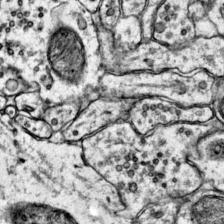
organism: Mouse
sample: Primary visual cortex